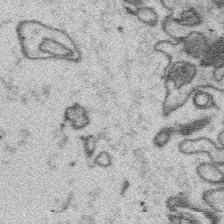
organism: Platynereis dumerilii